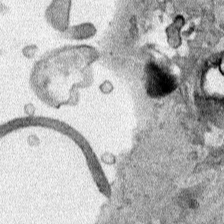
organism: Human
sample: Mitochondria in HCT116 cells